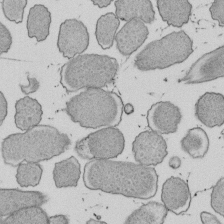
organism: E. coli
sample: Bacterial nucleoid